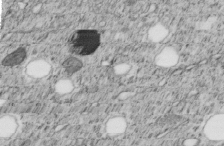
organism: C. elegans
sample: C. elegans embryo early stage